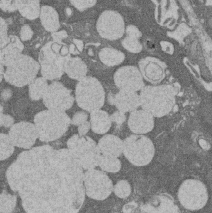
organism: Rat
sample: Salivary granule